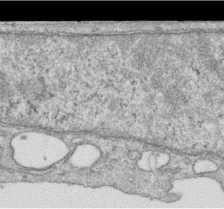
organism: Human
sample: Centriole in RPE cells